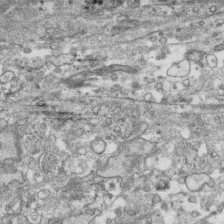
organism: Human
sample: CRL-1474